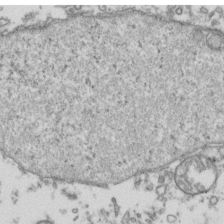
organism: Human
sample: Activated Jurkat CD4+ T cells